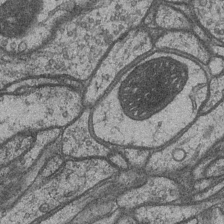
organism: Drosophila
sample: Optic medulla